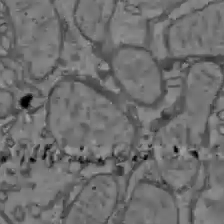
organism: C57BL Mouse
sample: Liver